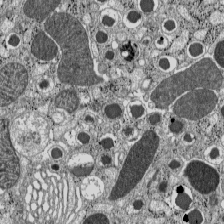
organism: C57BL Mouse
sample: Pancreatic islet